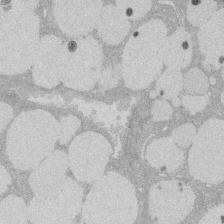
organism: Rat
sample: Salivary granule